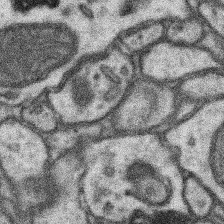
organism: Mouse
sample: Somatosensory cortex neuropil